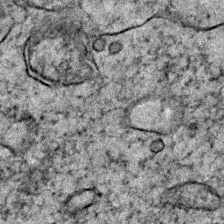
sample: Trachea